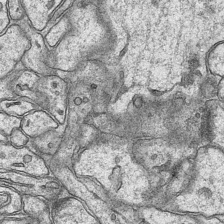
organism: Mouse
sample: CA1 Hippocampus